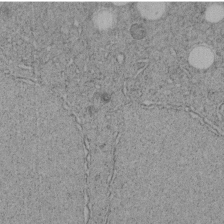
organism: C. elegans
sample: C. elegans embryo early stage